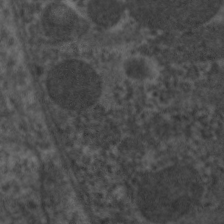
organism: C. elegans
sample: Pharynx